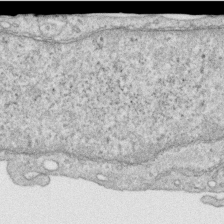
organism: Human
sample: Centriole in RPE cells